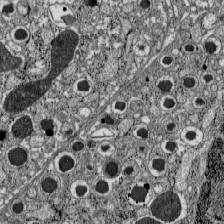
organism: C57BL Mouse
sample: Pancreatic islet